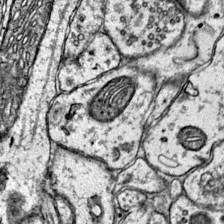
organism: Mouse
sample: Primary visual cortex